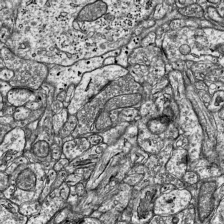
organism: Mouse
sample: Visual Cortex